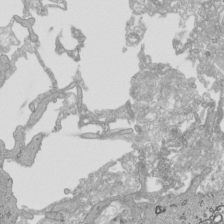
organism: Human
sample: Mitochondria in HCT116 cells